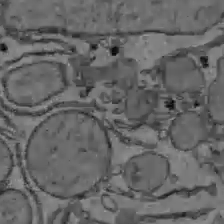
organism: C57BL Mouse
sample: Liver